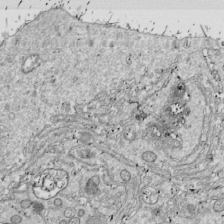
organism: Drosophila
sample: Cell division; meiosis; drosophila spermatocytes